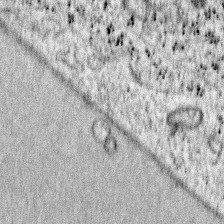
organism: Human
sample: HeLa cells